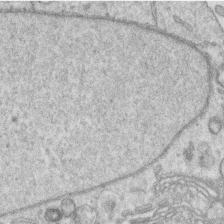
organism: Human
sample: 1205lu cells